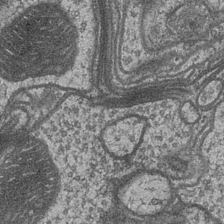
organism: Drosophila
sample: Optic medulla